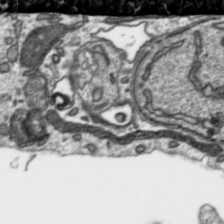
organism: Toxoplasma gondii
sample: Parasites in a vacuole inside a host cell